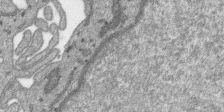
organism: Human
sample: Lung epithelial cells infected with SARS-CoV-2